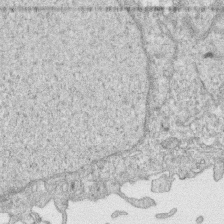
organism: Human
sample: HeLa cell HIV synapse